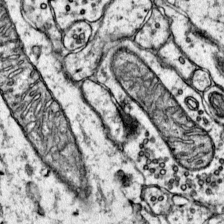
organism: Mouse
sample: Primary visual cortex